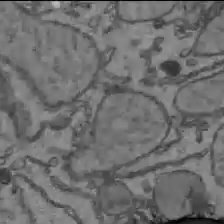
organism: C57BL Mouse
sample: Liver